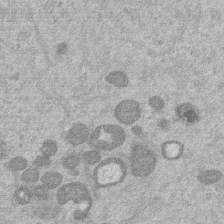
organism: Mouse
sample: Dividing mouse embryo 1 cell stage